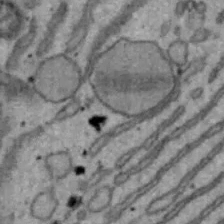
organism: Mouse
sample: Liver